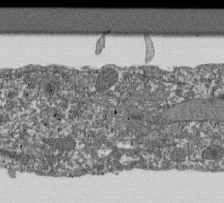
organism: Dictyostelium discoideum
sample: Dictyostelium multivesicular bodies